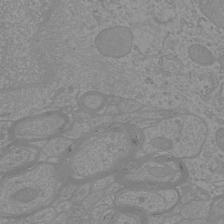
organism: Mouse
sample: Cortical neurons